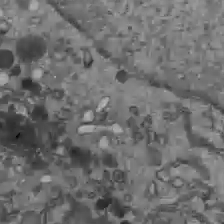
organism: C57BL Mouse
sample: Liver